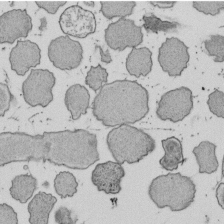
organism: E. coli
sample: Bacterial nucleoid